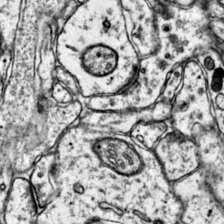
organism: Mouse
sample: Primary visual cortex